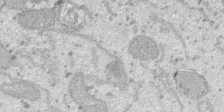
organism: Human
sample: Lung epithelial cells infected with SARS-CoV-2